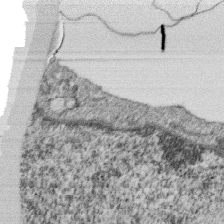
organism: African green monkey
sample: Vero E6 cells infected with SARS-CoV-2